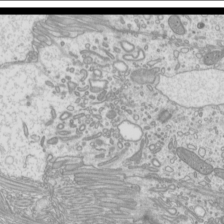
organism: Mouse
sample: Cilia; mouse epididymis